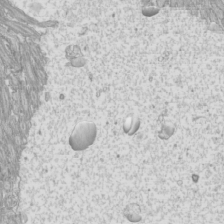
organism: Mouse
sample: Cilia; mouse epididymis